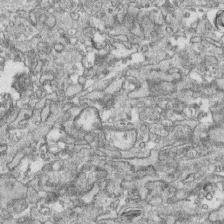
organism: Human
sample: CRL-1474